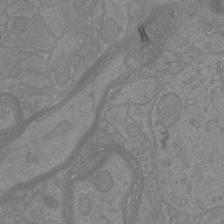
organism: Mouse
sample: Cortical neurons